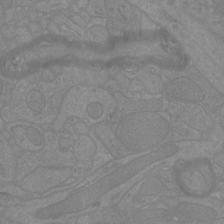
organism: Mouse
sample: Cortical neurons